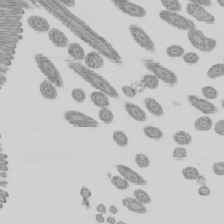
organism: Mouse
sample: Cilia; mouse epididymis